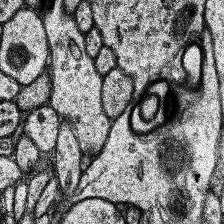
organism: Human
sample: Temporal Lobe